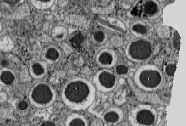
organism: C57BL Mouse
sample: Pancreatic islet